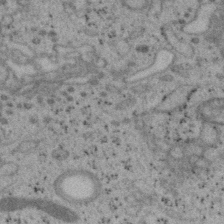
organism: Human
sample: HeLa cells